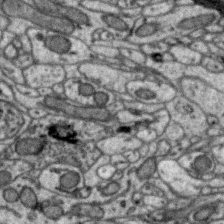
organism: Zebra finch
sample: Brain